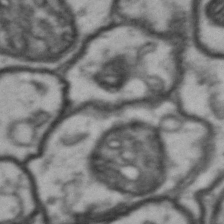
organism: Drosophila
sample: Brain